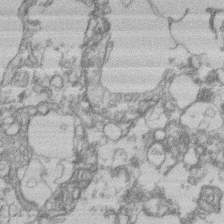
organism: Mouse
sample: T cell stromal cell synapse